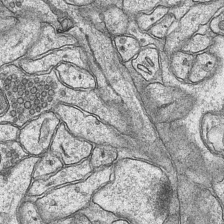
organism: Mouse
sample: CA1 Hippocampus